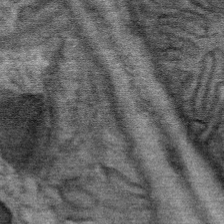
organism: Mouse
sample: Mouse Salivary gland